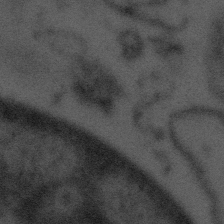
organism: Tuwongella immobilis